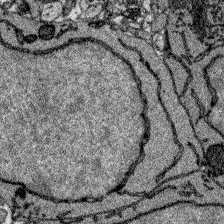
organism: Zebrafish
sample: Larval olfactory bulb